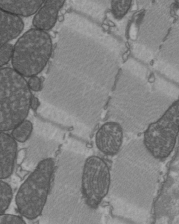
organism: C57BL Mouse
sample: Heart